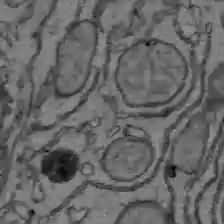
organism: C57BL Mouse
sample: Liver